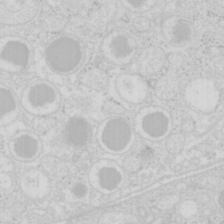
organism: Mouse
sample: Pancreas